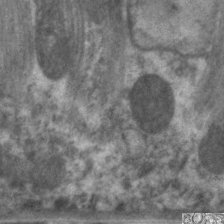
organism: C. elegans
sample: Pharynx